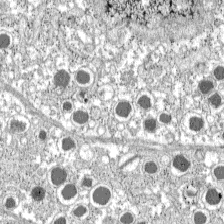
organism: C57BL Mouse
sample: Pancreatic islet